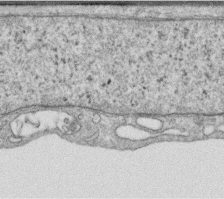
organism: Human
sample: Centriole in RPE cells